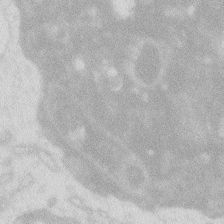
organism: Zebrafish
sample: Macrophage